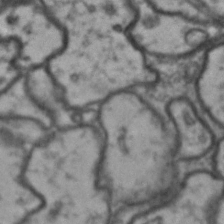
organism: Drosophila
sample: Brain